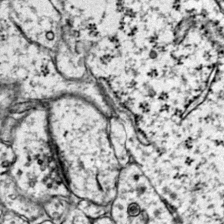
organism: Mouse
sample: Primary visual cortex